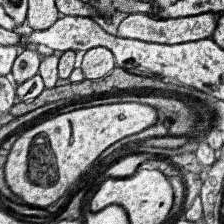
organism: Human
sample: Temporal Lobe